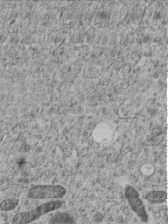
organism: C. elegans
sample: C. elegans embryo early stage